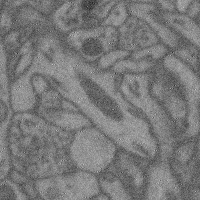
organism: Mouse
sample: Cerebral cortex